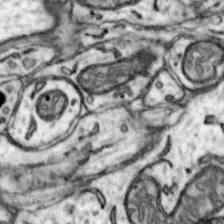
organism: Mouse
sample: Nucleus accumbens